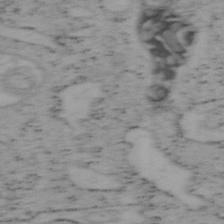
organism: Mouse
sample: OT-I killer T cells with ID8 ovarian cancer cells